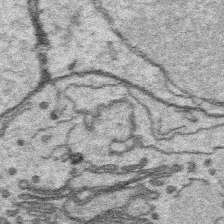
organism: Platynereis dumerilii